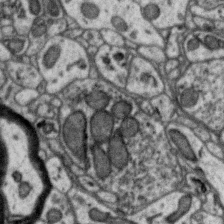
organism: Zebra finch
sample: Brain